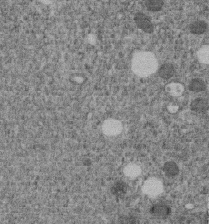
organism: C. elegans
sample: C. elegans embryo early stage